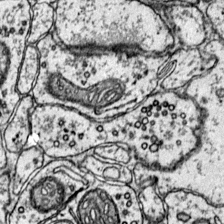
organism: Mouse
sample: Primary visual cortex